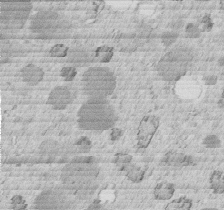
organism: C. elegans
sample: C. elegans embryo early stage